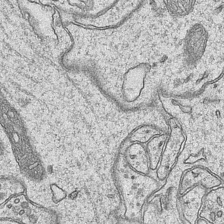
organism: Mouse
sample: CA1 Hippocampus